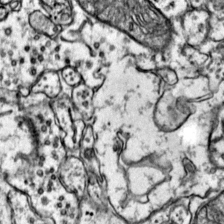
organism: Mouse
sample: Primary visual cortex